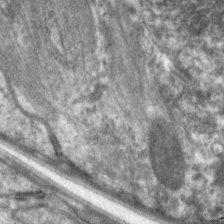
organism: C. elegans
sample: Pharynx